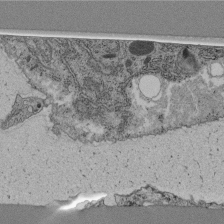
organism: C. elegans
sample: C. elegans pharynx